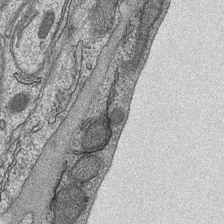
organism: Mouse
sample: CA1 Hippocampus